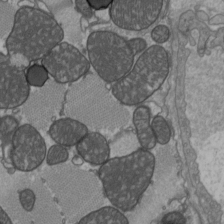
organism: C57BL Mouse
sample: Heart